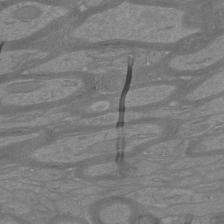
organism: Mouse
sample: Cortical neurons